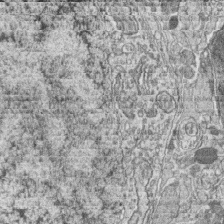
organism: Zebrafish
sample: synaptic ribbons in rod cells and cone cells